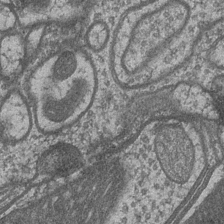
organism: Drosophila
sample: Optic medulla